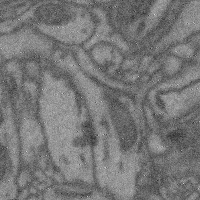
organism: Mouse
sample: Cerebral cortex